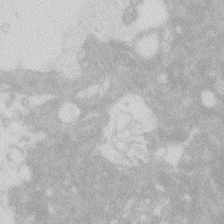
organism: Zebrafish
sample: Macrophage